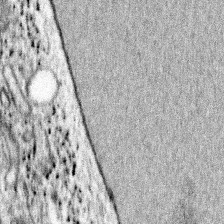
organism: Human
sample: HeLa cells